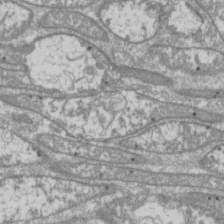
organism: Drosophila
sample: Cell division; meiosis; drosophila spermatocytes